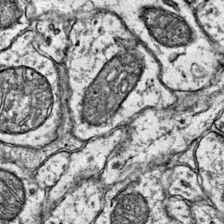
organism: Mouse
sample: Primary visual cortex